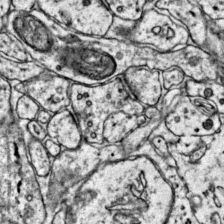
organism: Mouse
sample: Primary visual cortex